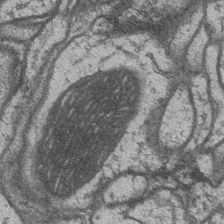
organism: Drosophila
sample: Optic medulla